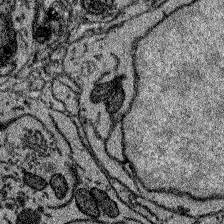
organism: Zebrafish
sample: Larval olfactory bulb